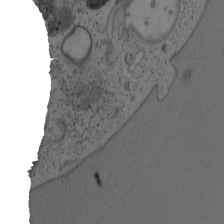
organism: Mouse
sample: OT-I killer T cells with ID8 ovarian cancer cells